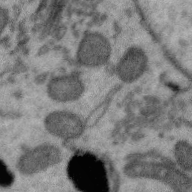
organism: Zebra finch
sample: Brain